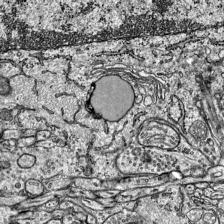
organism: Mouse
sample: Visual Cortex